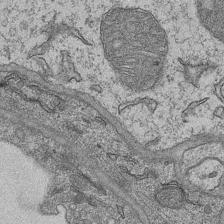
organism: Mouse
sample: CA1 Hippocampus